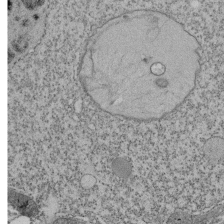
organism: Tetrahymena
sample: Cilia in tetrahymena